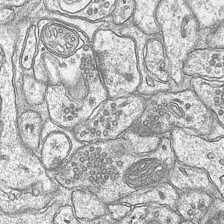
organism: Mouse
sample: CA1 Hippocampus